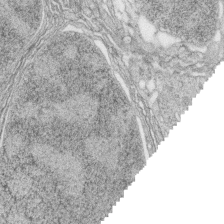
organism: Zebrafish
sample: synaptic ribbons in rod cells and cone cells